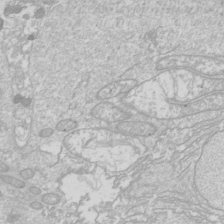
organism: Drosophila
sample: Cell division; meiosis; drosophila spermatocytes